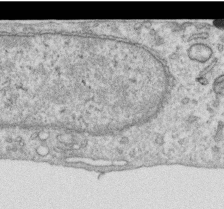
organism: Human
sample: Centriole in RPE cells